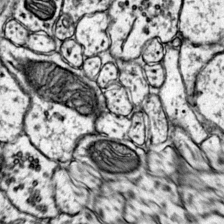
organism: Mouse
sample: Primary visual cortex